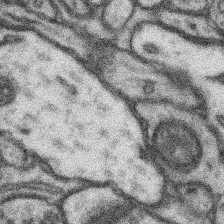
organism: Mouse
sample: Somatosensory cortex neuropil